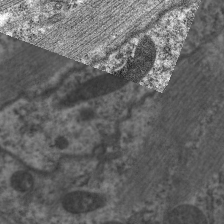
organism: C. elegans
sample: Pharynx